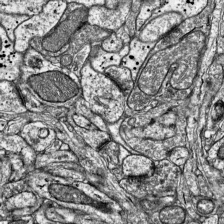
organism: Mouse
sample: Visual Cortex